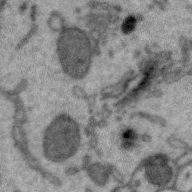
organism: Zebra finch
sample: Brain